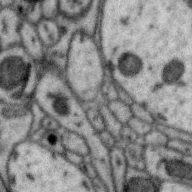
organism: Zebra finch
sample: Brain